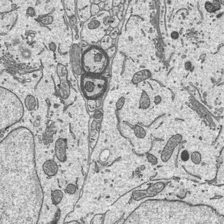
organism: Mouse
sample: Suprachiasmatic nucleus